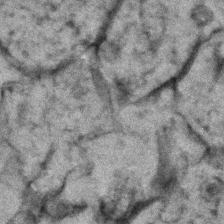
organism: Zebrafish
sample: Zebrafish embryo